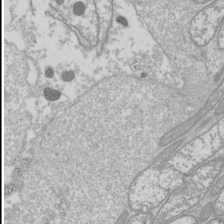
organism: Drosophila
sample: Cell division; meiosis; drosophila spermatocytes